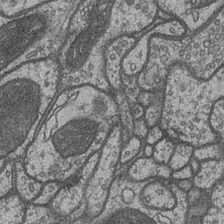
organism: Drosophila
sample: Optic medulla